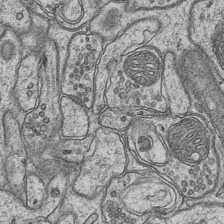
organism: Mouse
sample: CA1 Hippocampus